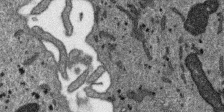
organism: Human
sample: Lung epithelial cells infected with SARS-CoV-2